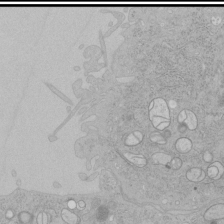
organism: Human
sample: Mitochondria in HCT116 cells